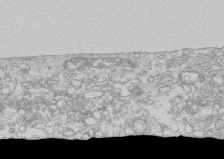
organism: Human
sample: CRL-1474